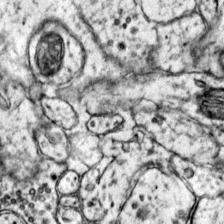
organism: Mouse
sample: Primary visual cortex